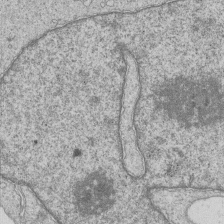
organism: Human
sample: MDA-MB-231 cells